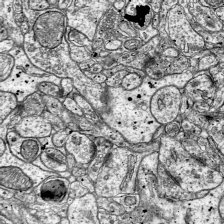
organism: Mouse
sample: Visual Cortex